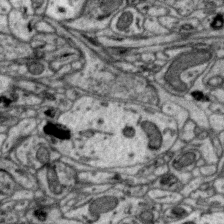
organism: Zebra finch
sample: Brain